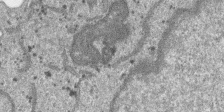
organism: Human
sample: Lung epithelial cells infected with SARS-CoV-2